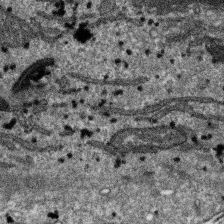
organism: Human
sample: Lung epithelial cells infected with SARS-CoV-2